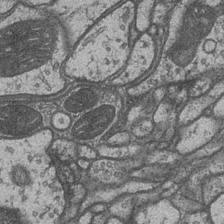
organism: Drosophila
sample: Optic medulla